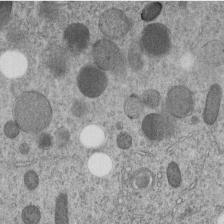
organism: C. elegans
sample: C. elegans embryo early stage